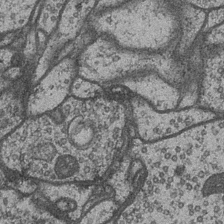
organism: Drosophila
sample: Optic medulla